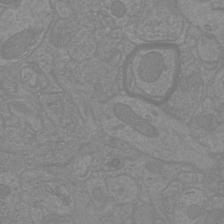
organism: Mouse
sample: Cortical neurons